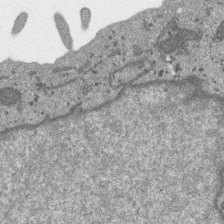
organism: Human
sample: Lung epithelial cells infected with SARS-CoV-2